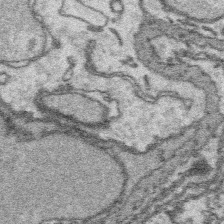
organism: Platynereis dumerilii